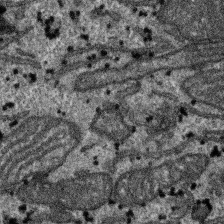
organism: Human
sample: Lung epithelial cells infected with SARS-CoV-2